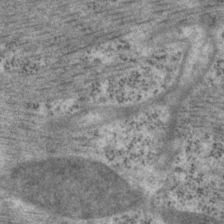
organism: P. pacificus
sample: Pharynx